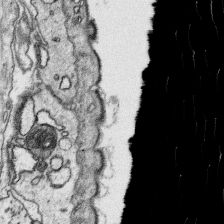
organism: Platynereis dumerilii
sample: Parapodia